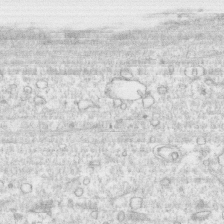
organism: Human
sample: CRL-1474